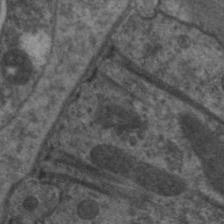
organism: C. elegans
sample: Pharynx